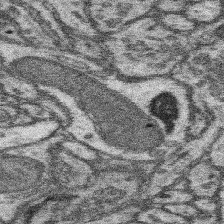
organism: Mouse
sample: Somatosensory cortex neuropil